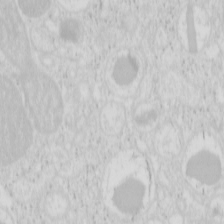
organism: Mouse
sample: Pancreas